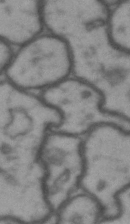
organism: Drosophila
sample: Brain